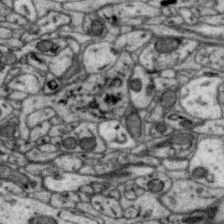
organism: Zebra finch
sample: Brain